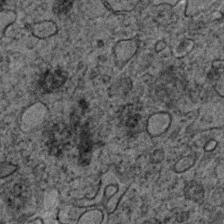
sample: Trachea